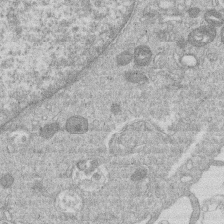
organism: Human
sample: Macrophage cells